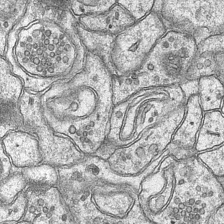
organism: Mouse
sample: CA1 Hippocampus